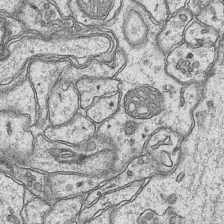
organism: Mouse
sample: CA1 Hippocampus